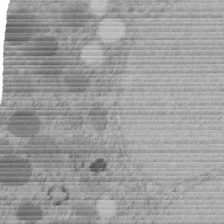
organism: C. elegans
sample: C. elegans embryo early stage